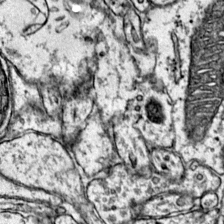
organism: Mouse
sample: Primary visual cortex